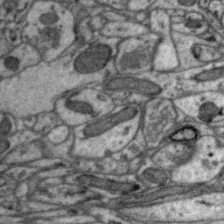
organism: Zebra finch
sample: Brain